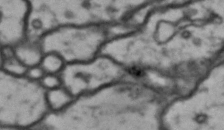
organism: Drosophila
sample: Brain